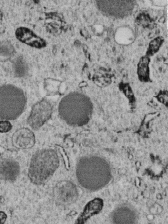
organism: C. elegans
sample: C. elegans embryo early stage